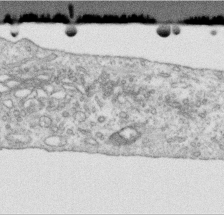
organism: Human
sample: Centriole in RPE cells